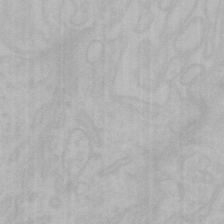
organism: Mouse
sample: Choroid plexus